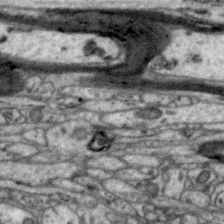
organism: Zebra finch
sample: Brain